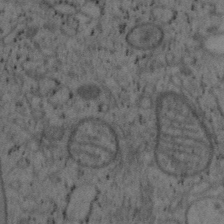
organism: Human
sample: HeLa cells